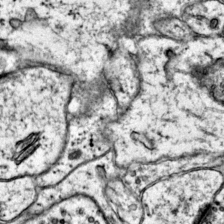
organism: Mouse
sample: Primary visual cortex